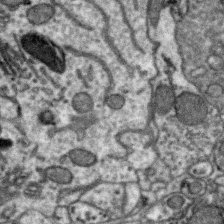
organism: Zebra finch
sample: Brain